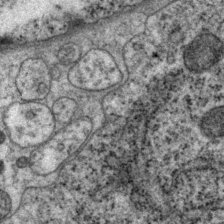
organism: P. pacificus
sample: Pharynx